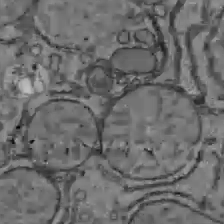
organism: C57BL Mouse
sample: Liver